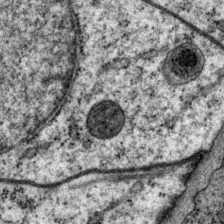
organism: P. pacificus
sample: Pharynx